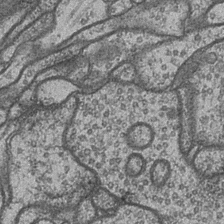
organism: Drosophila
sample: Optic medulla